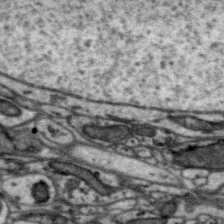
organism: Zebra finch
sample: Brain